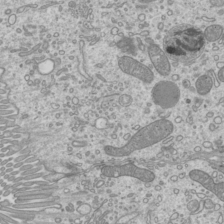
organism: Mouse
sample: Cilia; mouse epididymis